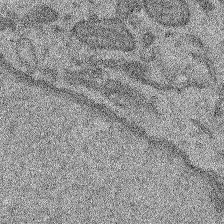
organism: Human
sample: HeLa cells